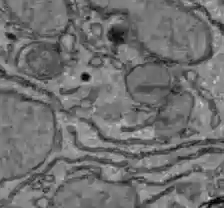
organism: C57BL Mouse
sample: Liver